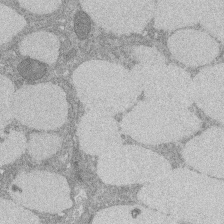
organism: Rat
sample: Salivary granule